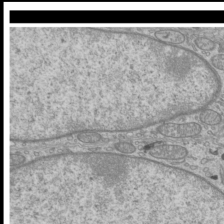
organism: Mouse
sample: Cilia; mouse epididymis